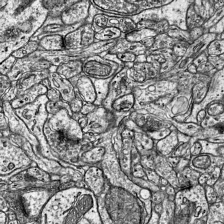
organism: Mouse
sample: Visual Cortex